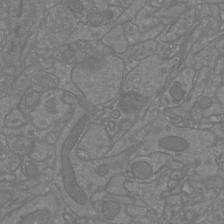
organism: Mouse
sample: Cortical neurons